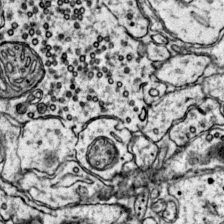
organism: Mouse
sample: Primary visual cortex